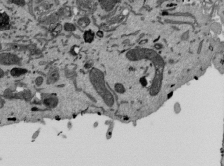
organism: Mouse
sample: ED-1 cell nuclei; centrioles